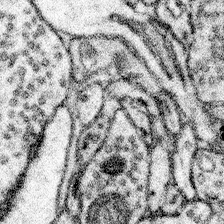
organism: Mouse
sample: Somatosensory cortex neuropil